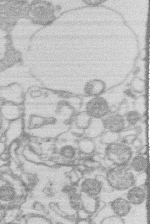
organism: Human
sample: Macrophage cells